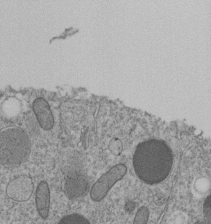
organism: C. elegans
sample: C. elegans embryo early stage